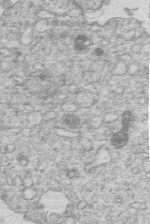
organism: Human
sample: Macrophage cells